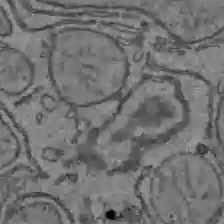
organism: C57BL Mouse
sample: Liver